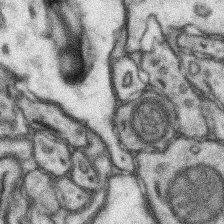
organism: Mouse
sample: Somatosensory cortex neuropil